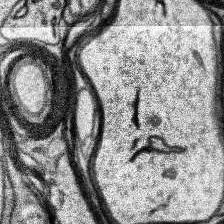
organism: Human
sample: Temporal Lobe